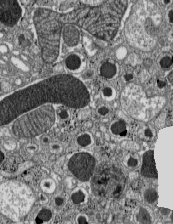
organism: C57BL Mouse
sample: Pancreatic islet